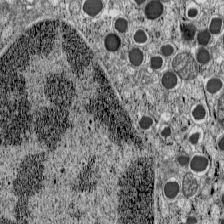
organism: C57BL Mouse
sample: Pancreatic islet